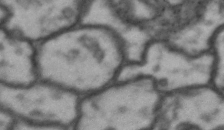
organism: Drosophila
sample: Brain